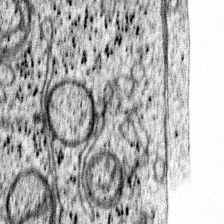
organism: Human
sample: HeLa cells